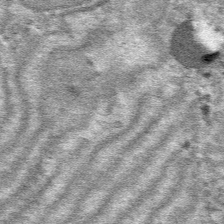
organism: Mouse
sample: Mouse hepatocytes